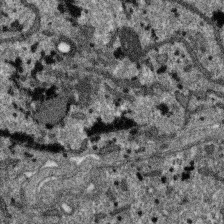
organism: Human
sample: Lung epithelial cells infected with SARS-CoV-2